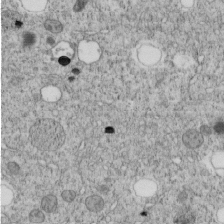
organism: C. elegans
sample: C. elegans embryo early stage